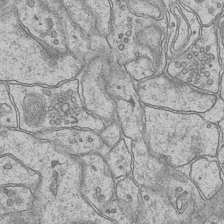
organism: Mouse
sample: CA1 Hippocampus